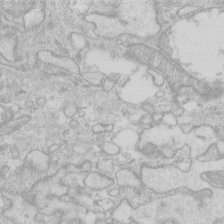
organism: Human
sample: Fibroblast cells